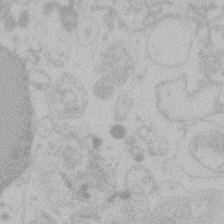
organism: Zebrafish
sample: Macrophage infected with Toxoplasma gondii